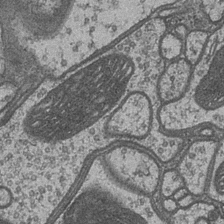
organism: Drosophila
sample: Optic medulla